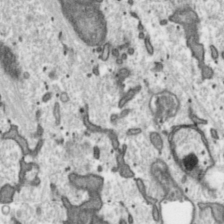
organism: Toxoplasma gondii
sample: Parasites in a vacuole inside a host cell